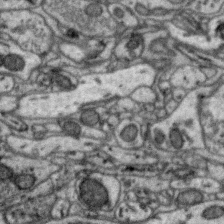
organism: Zebra finch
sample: Brain